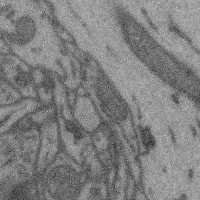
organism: Mouse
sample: Cerebral cortex